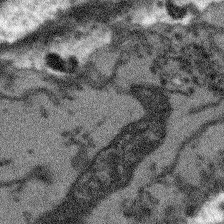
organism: Arabidopsis thaliana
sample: Root tip